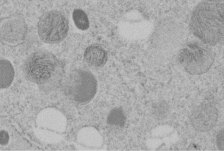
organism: C. elegans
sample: C. elegans embryo early stage